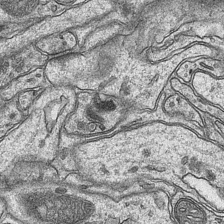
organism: Mouse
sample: CA1 Hippocampus